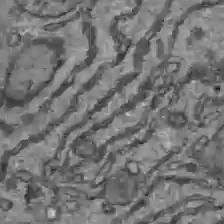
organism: C57BL Mouse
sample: Liver